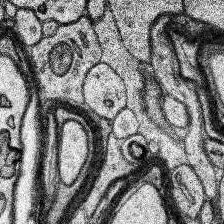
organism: Human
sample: Temporal Lobe